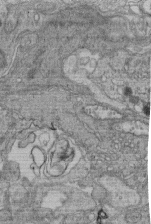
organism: Human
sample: Retinal organoid Rod and Cone cells